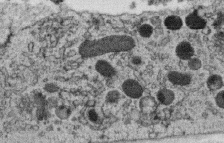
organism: C. elegans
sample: C. elegans oocyte; sperm cells